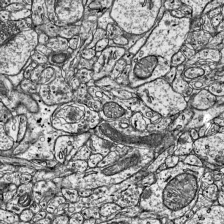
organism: Mouse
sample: Visual Cortex